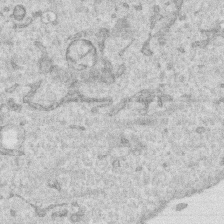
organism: Human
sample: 1205lu cells